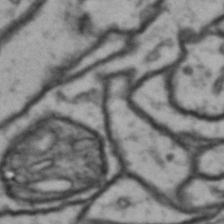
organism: Drosophila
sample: Brain